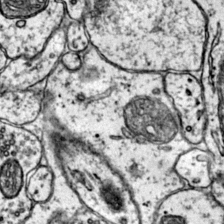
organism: Mouse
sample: Primary visual cortex